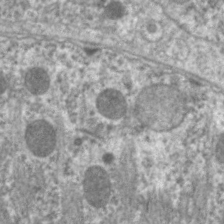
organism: C. elegans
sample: Pharynx